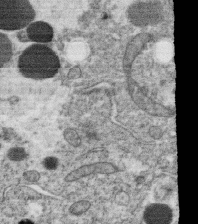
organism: C. elegans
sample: C. elegans oocyte; sperm cells